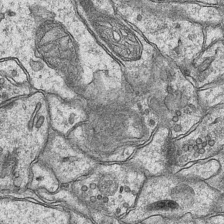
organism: Mouse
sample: CA1 Hippocampus